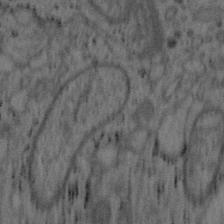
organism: Human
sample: HeLa cells